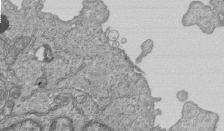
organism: Human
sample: MDA-MB-231 cells